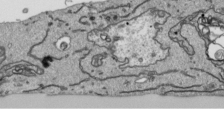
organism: Human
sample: Mitochondria in HCT116 cells